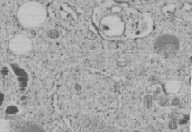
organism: C. elegans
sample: C. elegans embryo early stage